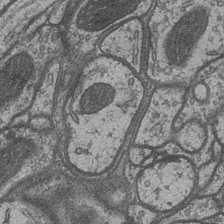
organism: Drosophila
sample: Optic medulla